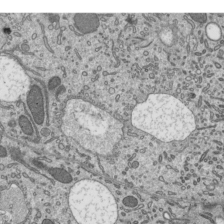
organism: Mouse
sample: Mouse epididymis efferent ductule cilia